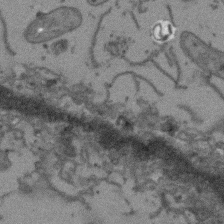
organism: Arabidopsis thaliana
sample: Root tip